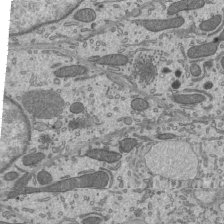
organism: Mouse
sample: Mouse epididymis efferent ductule cilia